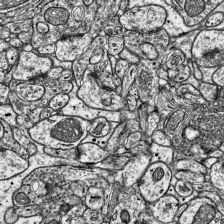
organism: Mouse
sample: Visual Cortex